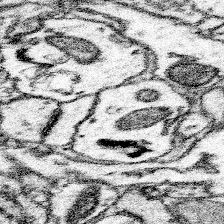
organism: Mouse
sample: Somatosensory cortex neuropil